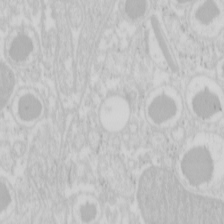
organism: Mouse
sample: Pancreas